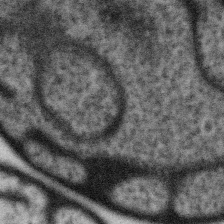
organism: Gemmata obscuriglobus